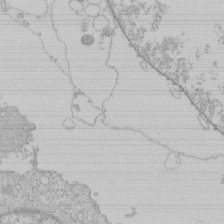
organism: Human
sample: Macrophage cells